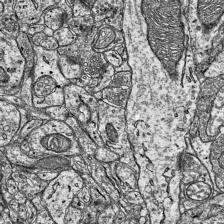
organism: Mouse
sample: Visual Cortex